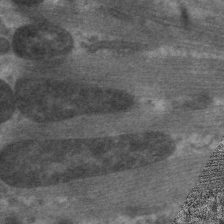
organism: C. elegans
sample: Pharynx